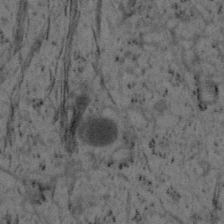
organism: Human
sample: HeLa cells